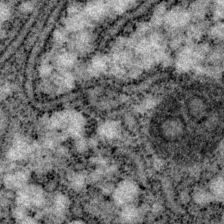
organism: P. pacificus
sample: Pharynx